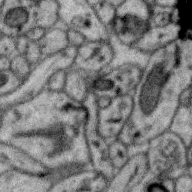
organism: Zebra finch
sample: Brain